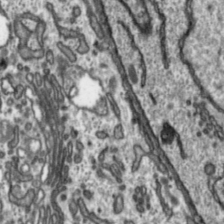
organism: Toxoplasma gondii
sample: Parasites in a vacuole inside a host cell